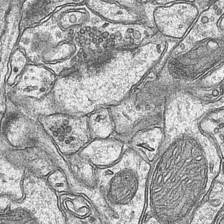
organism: Mouse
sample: CA1 Hippocampus